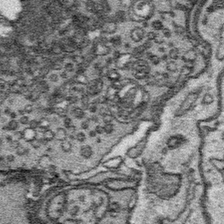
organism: Platynereis dumerilii